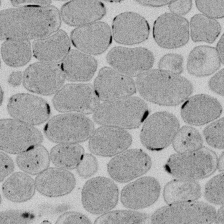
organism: E. coli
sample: Bacterial nucleoid